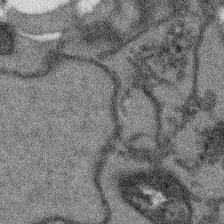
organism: Arabidopsis thaliana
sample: Root tip